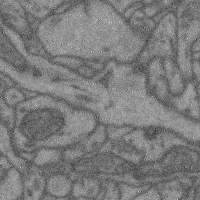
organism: Mouse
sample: Cerebral cortex